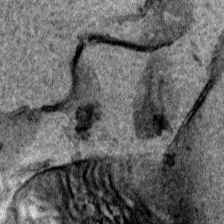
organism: Human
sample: Mitochondria in HCT116 cells